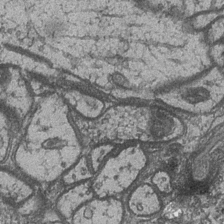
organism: Drosophila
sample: Optic medulla